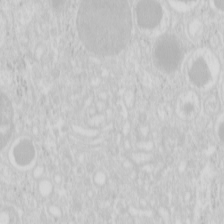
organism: Mouse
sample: Pancreas